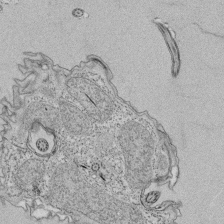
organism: Tetrahymena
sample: Cilia in tetrahymena